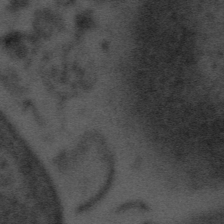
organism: Tuwongella immobilis